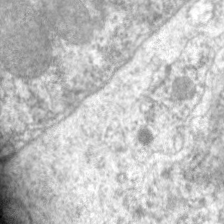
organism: C. elegans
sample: Pharynx